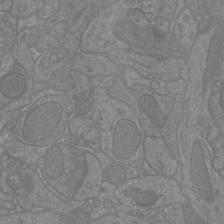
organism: Mouse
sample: Cortical neurons